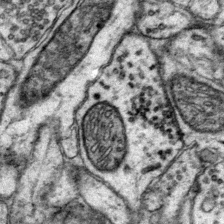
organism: Mouse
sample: Primary visual cortex